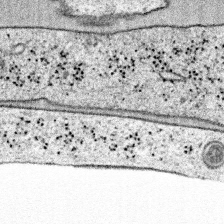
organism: Human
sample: HeLa cells